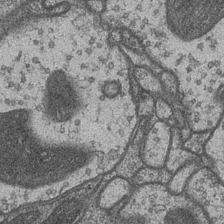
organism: Drosophila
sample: Optic medulla